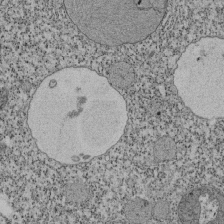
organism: Tetrahymena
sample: Cilia in tetrahymena